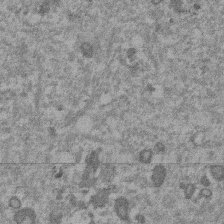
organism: Mouse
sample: Dividing mouse embryo 1 cell stage